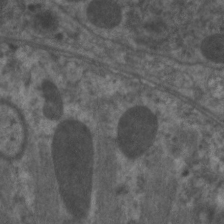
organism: C. elegans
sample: Pharynx